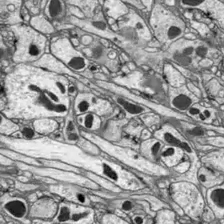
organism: Drosophila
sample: Optic lobe